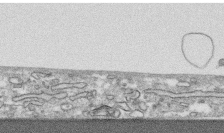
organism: Human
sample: CRL-1474